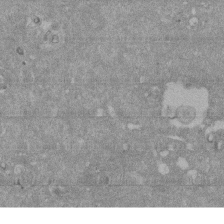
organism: Mouse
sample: ED-1 cell nuclei; centrioles